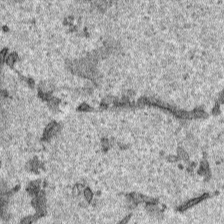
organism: Human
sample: Mitochondria in HCT116 cells